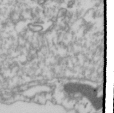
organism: Drosophila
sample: Cell division; meiosis; drosophila spermatocytes